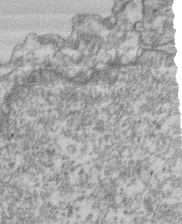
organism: Mouse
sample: T cell stromal cell synapse